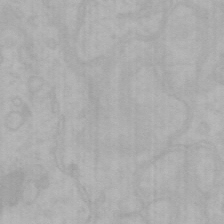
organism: Mouse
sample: Choroid plexus